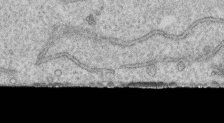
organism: Human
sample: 1205lu cells